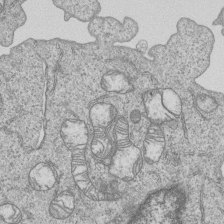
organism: Human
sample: MDA-MB-231 cells